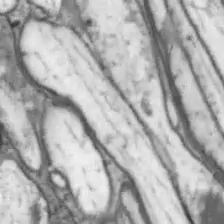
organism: Drosophila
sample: Optic lobe